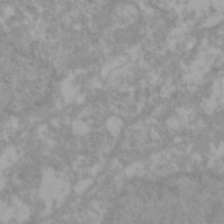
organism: Zebrafish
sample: Zebrafish embryo